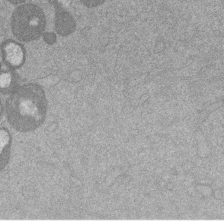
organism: Mouse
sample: Dividing mouse embryo 1 cell stage